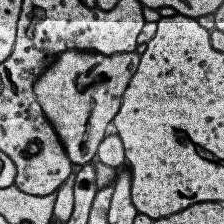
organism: Human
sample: Temporal Lobe